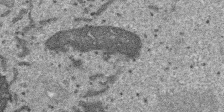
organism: Human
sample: Lung epithelial cells infected with SARS-CoV-2